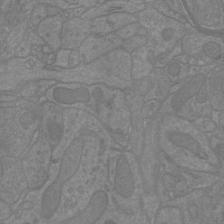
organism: Mouse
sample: Cortical neurons